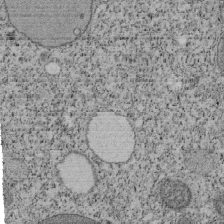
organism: Tetrahymena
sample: Cilia in tetrahymena